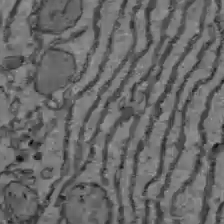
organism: C57BL Mouse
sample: Liver